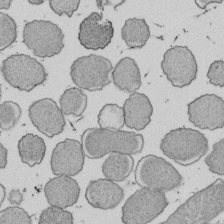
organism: E. coli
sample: Bacterial nucleoid